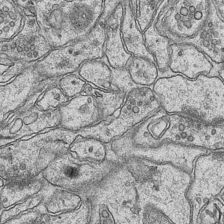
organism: Mouse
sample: CA1 Hippocampus